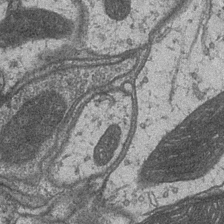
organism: Drosophila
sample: Optic medulla